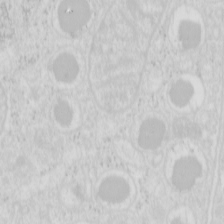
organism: Mouse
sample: Pancreas